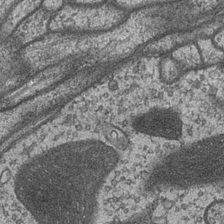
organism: Drosophila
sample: Optic medulla